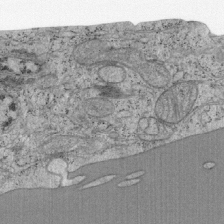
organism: Human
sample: HeLa cells